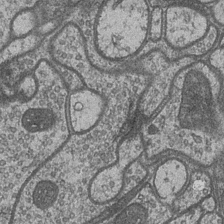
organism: Drosophila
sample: Optic medulla